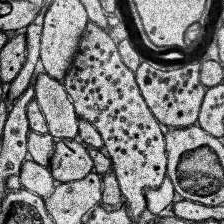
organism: Human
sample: Temporal Lobe